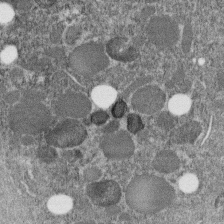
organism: C. elegans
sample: C. elegans embryo early stage